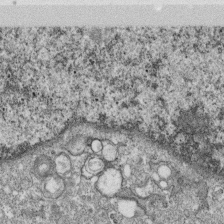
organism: African green monkey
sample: Vero E6 cells infected with SARS-CoV-2